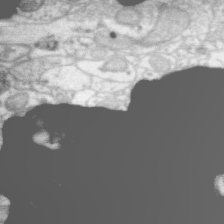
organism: Zebra finch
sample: Brain